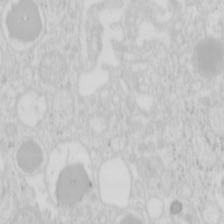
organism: Mouse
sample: Pancreas